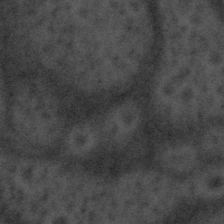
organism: Tuwongella immobilis